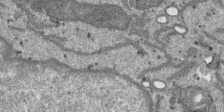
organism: Human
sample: Lung epithelial cells infected with SARS-CoV-2